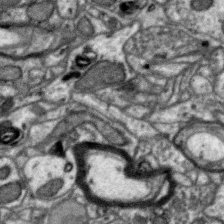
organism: Zebra finch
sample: Brain